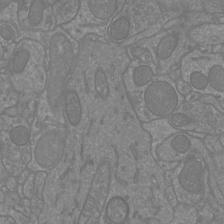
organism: Mouse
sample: Cortical neurons